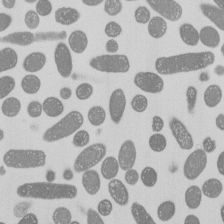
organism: E. coli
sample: Bacterial nucleoid